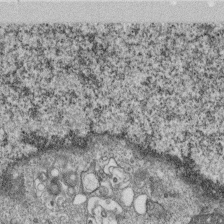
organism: African green monkey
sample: Vero E6 cells infected with SARS-CoV-2